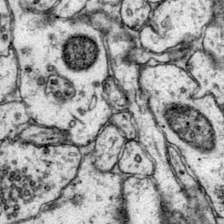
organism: Mouse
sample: Primary visual cortex